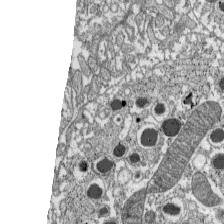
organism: C57BL Mouse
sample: Pancreatic islet